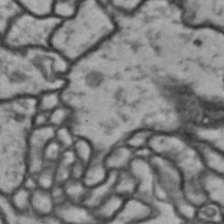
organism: Drosophila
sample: Brain